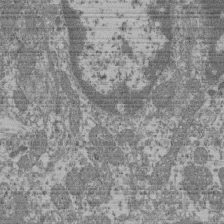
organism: Mouse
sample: Glomerulus